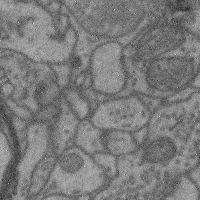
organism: Mouse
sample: Cerebral cortex